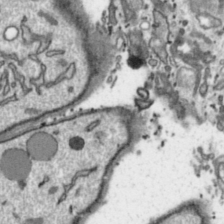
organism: Toxoplasma gondii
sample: Parasites in a vacuole inside a host cell